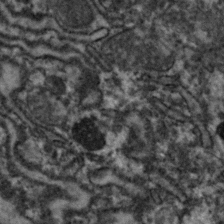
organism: Zebrafish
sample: Zebrafish embryo